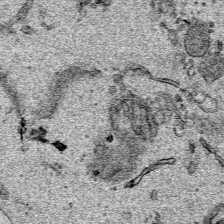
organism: Human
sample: Mitochondria in HCT116 cells